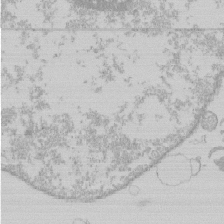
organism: Human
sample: Macrophage cells